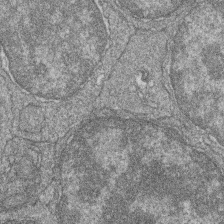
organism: Zebrafish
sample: Cilia; retinal pigment epithelium